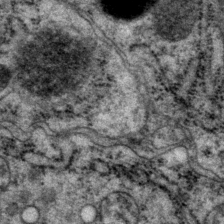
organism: P. pacificus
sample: Pharynx